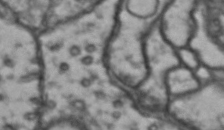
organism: Drosophila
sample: Brain